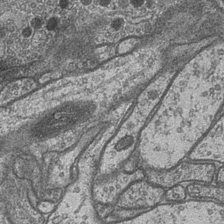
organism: Drosophila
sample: Optic medulla